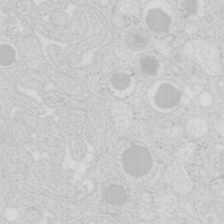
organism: Mouse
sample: Pancreas